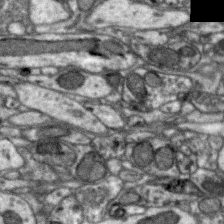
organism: Zebra finch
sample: Brain